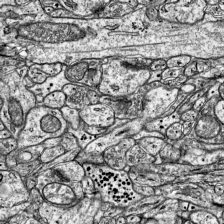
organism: Mouse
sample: Visual Cortex